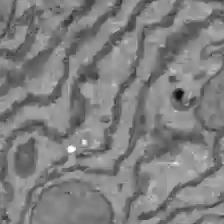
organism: C57BL Mouse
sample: Liver